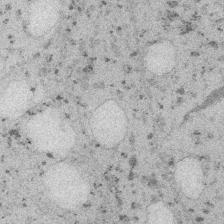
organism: Embia sp.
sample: Silk gland